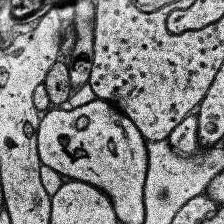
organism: Human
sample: Temporal Lobe